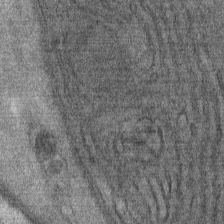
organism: Mouse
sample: Mouse Salivary gland